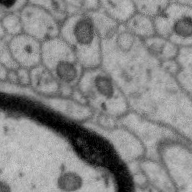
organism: Zebra finch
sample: Brain